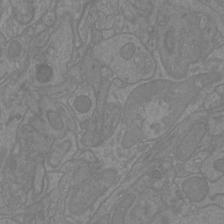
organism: Mouse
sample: Cortical neurons